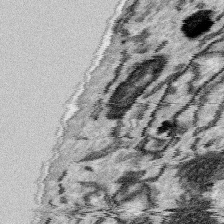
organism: Human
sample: HeLa cells